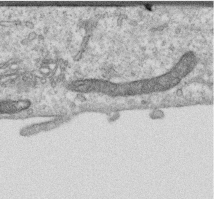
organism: Human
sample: Centriole in RPE cells